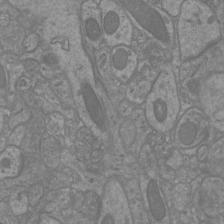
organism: Mouse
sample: Cortical neurons